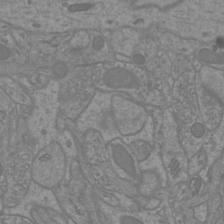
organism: Mouse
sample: Cortical neurons